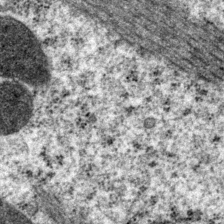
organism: P. pacificus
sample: Pharynx